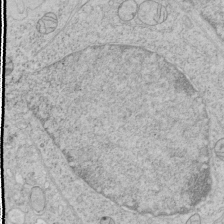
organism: Human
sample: Mitochondria in HCT116 cells